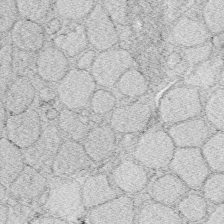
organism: Zebrafish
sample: Whole-Brain